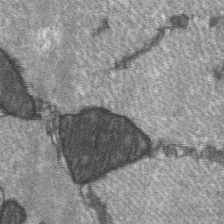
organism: C57BL Mouse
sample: Soleus